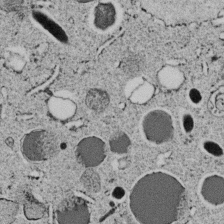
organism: C. elegans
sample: C. elegans embryo early stage